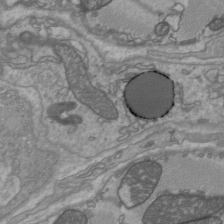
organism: C57BL Mouse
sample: Heart